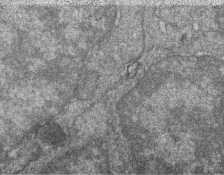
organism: Zebrafish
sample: Cilia; retinal pigment epithelium